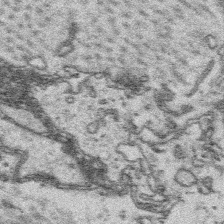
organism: Platynereis dumerilii